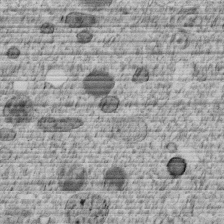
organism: C. elegans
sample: C. elegans embryo early stage